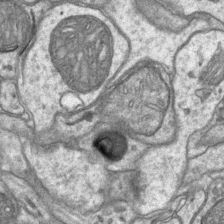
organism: Mouse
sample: CA1 Hippocampus